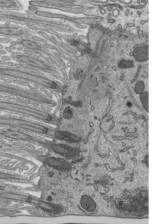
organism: Mouse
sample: Mouse epididymis efferent ductule cilia